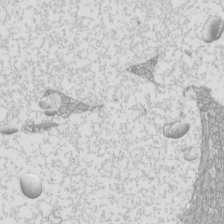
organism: Mouse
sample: Cilia; mouse epididymis